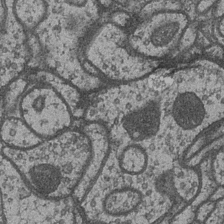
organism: Drosophila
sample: Optic medulla